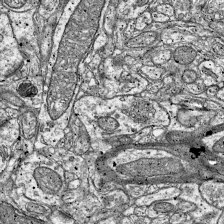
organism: Mouse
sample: Visual Cortex